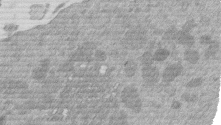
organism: Mouse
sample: Dividing mouse embryo 1 cell stage